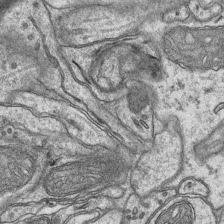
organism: Mouse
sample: CA1 Hippocampus